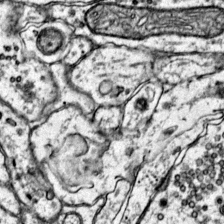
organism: Mouse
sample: Primary visual cortex